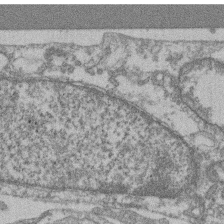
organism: Mouse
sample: T cell stromal cell synapse